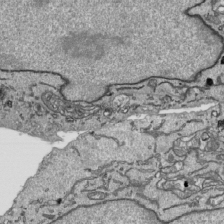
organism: Human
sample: Mitochondria in HCT116 cells